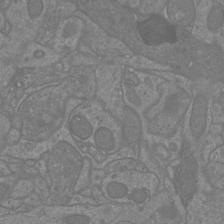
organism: Mouse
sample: Cortical neurons